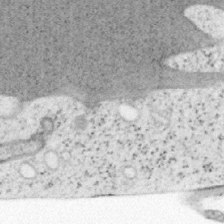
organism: Mouse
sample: OT-I killer T cells with ID8 ovarian cancer cells